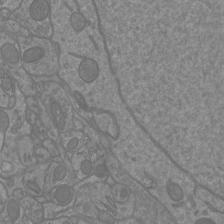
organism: Mouse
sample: Cortical neurons